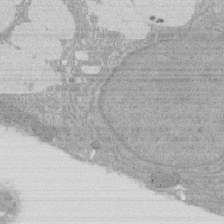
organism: Rat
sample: Salivary granule